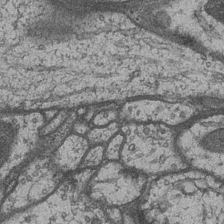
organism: Drosophila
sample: Optic medulla